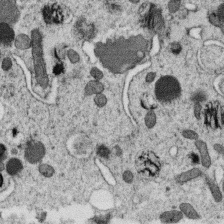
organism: C. elegans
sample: C. elegans oocyte; sperm cells